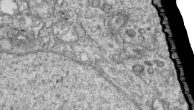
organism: Human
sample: HeLa cell HIV synapse